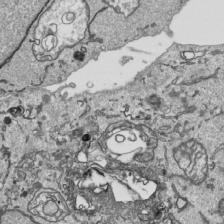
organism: Human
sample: Mitochondria in HCT116 cells